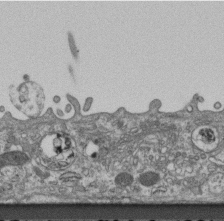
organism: Mouse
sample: Centriole in ependymal cells